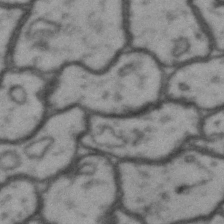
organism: Drosophila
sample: Brain